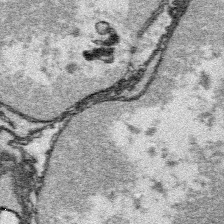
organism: Platynereis dumerilii